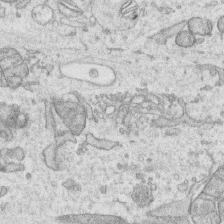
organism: Human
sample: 1205lu cells